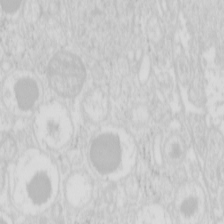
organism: Mouse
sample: Pancreas